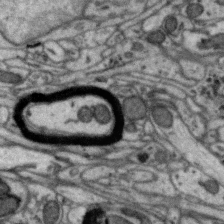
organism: Zebra finch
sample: Brain